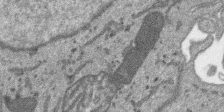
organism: Human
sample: Lung epithelial cells infected with SARS-CoV-2